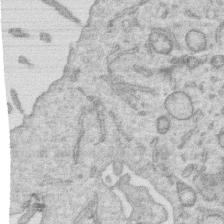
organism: Human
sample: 1205lu cells